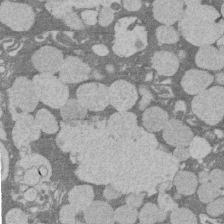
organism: Rat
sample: Salivary granule